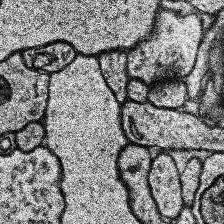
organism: Human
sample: Temporal Lobe